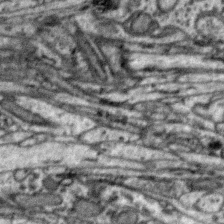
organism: Zebra finch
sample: Brain